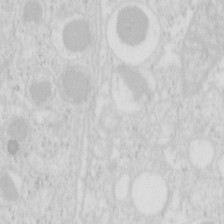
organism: Mouse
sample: Pancreas